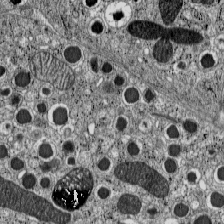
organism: C57BL Mouse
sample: Pancreatic islet